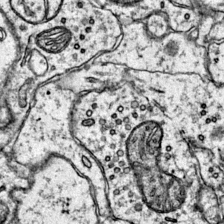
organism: Mouse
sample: Primary visual cortex